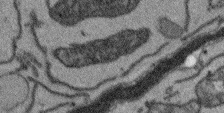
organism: Arabidopsis thaliana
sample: Root tip